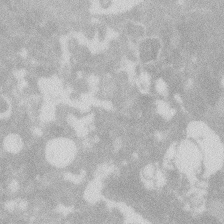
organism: Zebrafish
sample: Macrophage